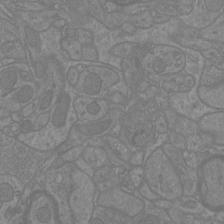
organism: Mouse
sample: Cortical neurons